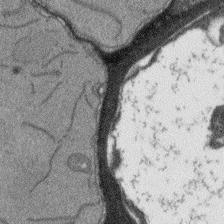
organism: Arabidopsis thaliana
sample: Root tip